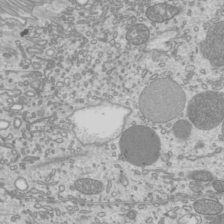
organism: Mouse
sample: Cilia; mouse epididymis